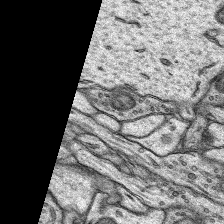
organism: Rat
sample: Hippocampus